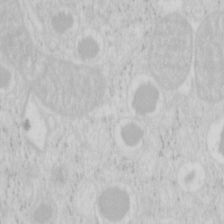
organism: Mouse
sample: Pancreas